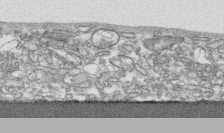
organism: Human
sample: CRL-1474